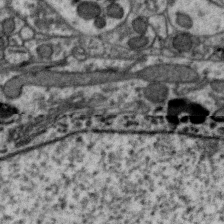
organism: Zebra finch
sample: Brain